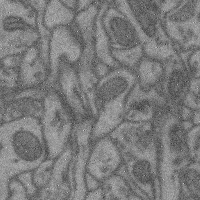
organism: Mouse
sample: Cerebral cortex